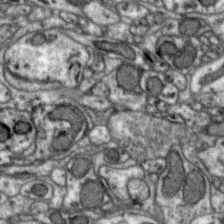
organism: Zebra finch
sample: Brain